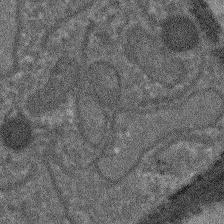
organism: Arabidopsis thaliana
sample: Root tip